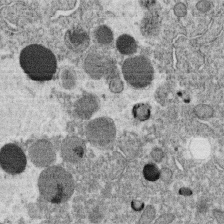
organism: C. elegans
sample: C. elegans oocyte; sperm cells